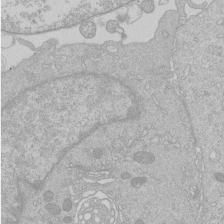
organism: Human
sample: Macrophage cells